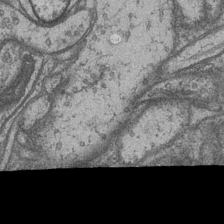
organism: Drosophila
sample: Optic medulla